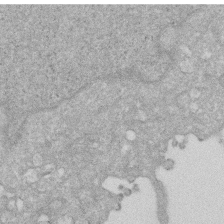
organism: Human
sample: HIV infected U937 cells